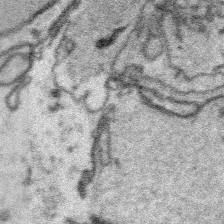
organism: Platynereis dumerilii